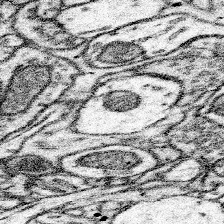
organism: Mouse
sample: Somatosensory cortex neuropil